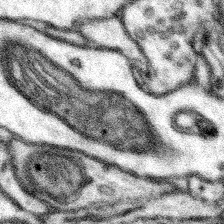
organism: Mouse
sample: Somatosensory cortex neuropil